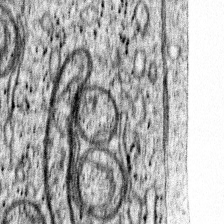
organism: Human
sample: HeLa cells